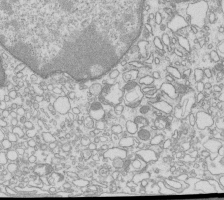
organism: Mouse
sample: Macrophages